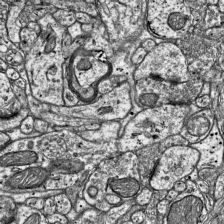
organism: Mouse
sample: Visual Cortex